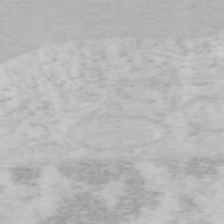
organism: Mouse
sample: OT-I killer T cells with ID8 ovarian cancer cells